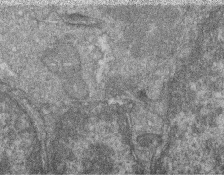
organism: Zebrafish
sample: Cilia; retinal pigment epithelium